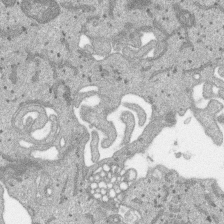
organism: Human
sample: Lung epithelial cells infected with SARS-CoV-2